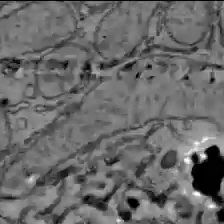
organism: C57BL Mouse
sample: Liver